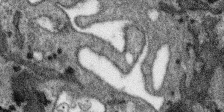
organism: Human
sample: Lung epithelial cells infected with SARS-CoV-2